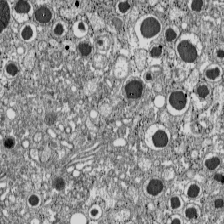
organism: C57BL Mouse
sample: Pancreatic islet